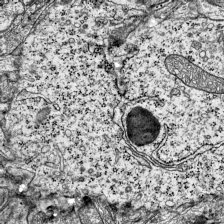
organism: Mouse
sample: Visual Cortex